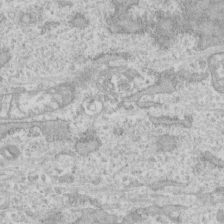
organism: Human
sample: CRL-1474